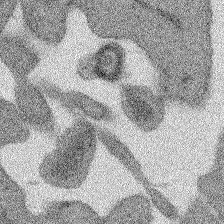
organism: Human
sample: HeLa cells